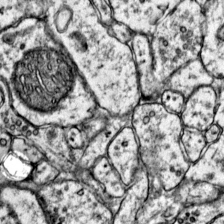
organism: Mouse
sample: Primary visual cortex